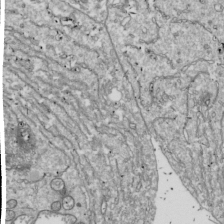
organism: Drosophila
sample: Cell division; meiosis; drosophila spermatocytes